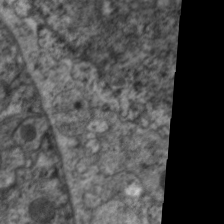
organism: C. elegans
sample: Pharynx